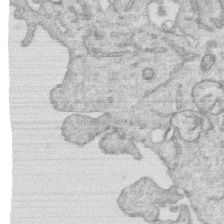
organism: Human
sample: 1205lu cells